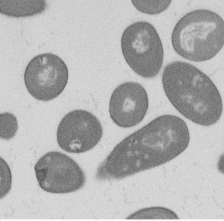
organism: B. subtilis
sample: Bacterial spore